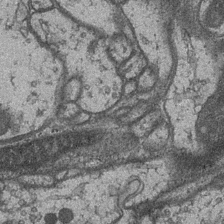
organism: Drosophila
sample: Optic medulla